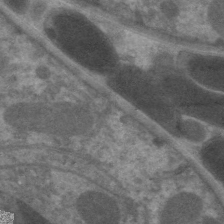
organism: C. elegans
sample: Pharynx